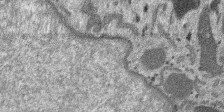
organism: Human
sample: Lung epithelial cells infected with SARS-CoV-2